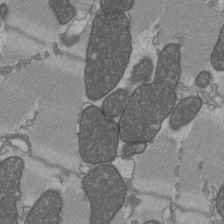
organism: C57BL Mouse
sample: Heart